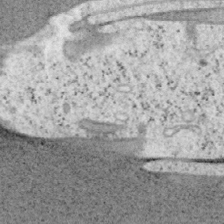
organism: Mouse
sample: OT-I killer T cells with ID8 ovarian cancer cells